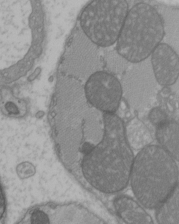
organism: C57BL Mouse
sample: Heart